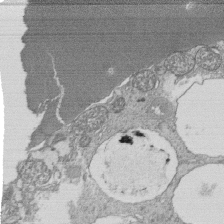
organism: Tetrahymena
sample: Cilia in tetrahymena